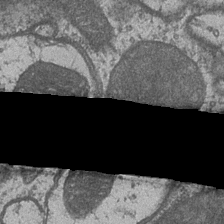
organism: Drosophila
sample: Optic medulla